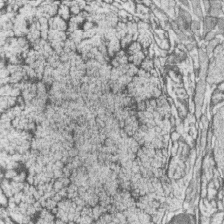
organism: Zebrafish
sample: synaptic ribbons in rod cells and cone cells